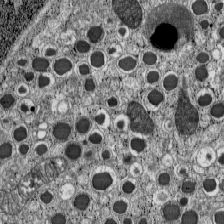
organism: C57BL Mouse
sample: Pancreatic islet